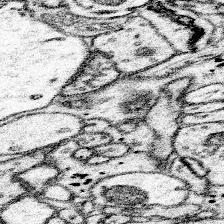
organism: Mouse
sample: Somatosensory cortex neuropil